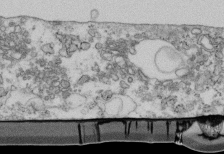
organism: Mouse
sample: Cilia; retinal pigment epithelium